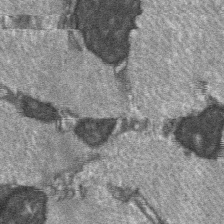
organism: C57BL Mouse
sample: Soleus